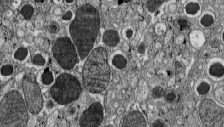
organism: C57BL Mouse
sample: Pancreatic islet